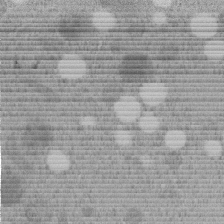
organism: C. elegans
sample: C. elegans embryo early stage